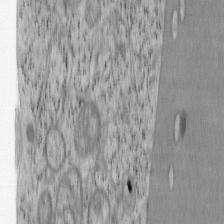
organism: Human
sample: HeLa cells